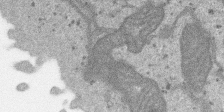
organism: Human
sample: Lung epithelial cells infected with SARS-CoV-2